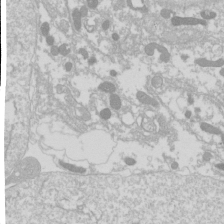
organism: Drosophila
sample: Cell division; meiosis; drosophila spermatocytes